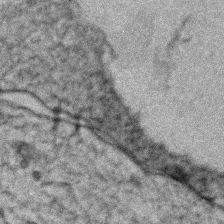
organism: Zebrafish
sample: Zebrafish embryo